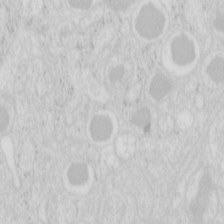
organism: Mouse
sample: Pancreas